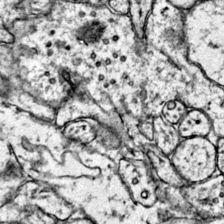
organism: Mouse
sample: Primary visual cortex